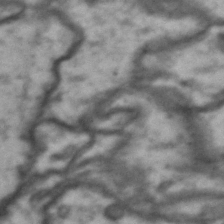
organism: Drosophila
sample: Brain